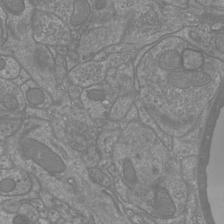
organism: Mouse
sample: Cortical neurons